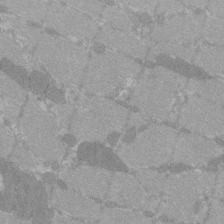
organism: C57BL Mouse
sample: Tibialis anterior muscle cell